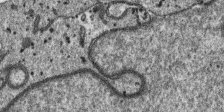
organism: Human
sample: Lung epithelial cells infected with SARS-CoV-2